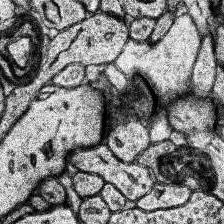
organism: Human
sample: Temporal Lobe